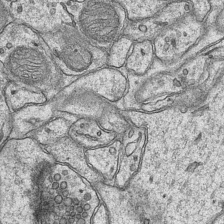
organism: Mouse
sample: CA1 Hippocampus